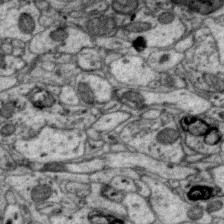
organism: Zebra finch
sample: Brain